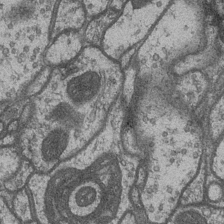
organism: Drosophila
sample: Optic medulla